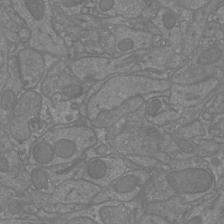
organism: Mouse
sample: Cortical neurons